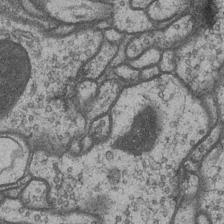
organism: Drosophila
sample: Optic medulla